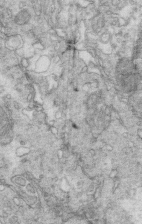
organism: Mouse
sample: Multiciliated cells